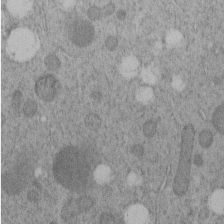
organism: C. elegans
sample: C. elegans embryo early stage